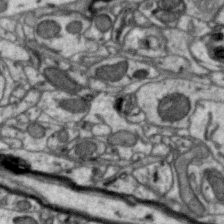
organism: Zebra finch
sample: Brain